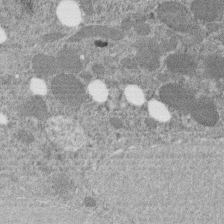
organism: C. elegans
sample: C. elegans embryo early stage